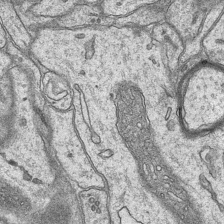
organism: Mouse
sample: CA1 Hippocampus